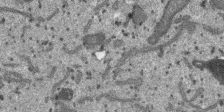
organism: Human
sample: Lung epithelial cells infected with SARS-CoV-2